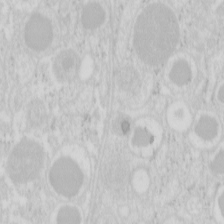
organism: Mouse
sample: Pancreas